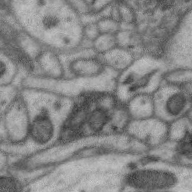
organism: Zebra finch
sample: Brain